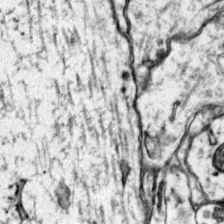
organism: Mouse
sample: Primary visual cortex